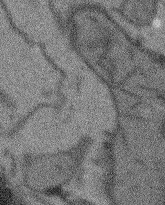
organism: Arabidopsis thaliana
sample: Root tip